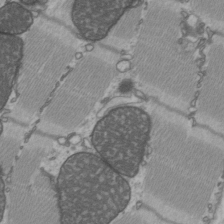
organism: C57BL Mouse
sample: Heart